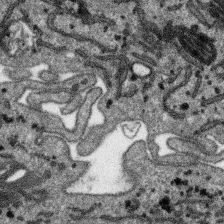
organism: Human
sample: Lung epithelial cells infected with SARS-CoV-2